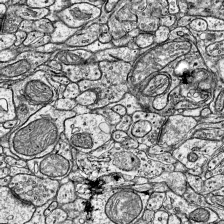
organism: Mouse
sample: Visual Cortex